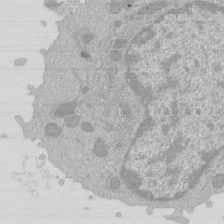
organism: Mouse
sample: Activated Pmel transgenic CD8+ T Cells